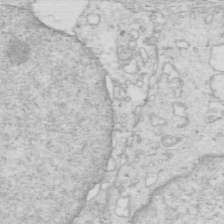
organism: Mouse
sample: Multiciliated cells